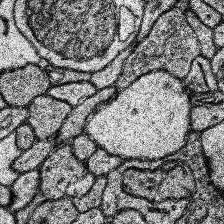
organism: Human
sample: Temporal Lobe